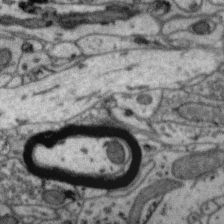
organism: Zebra finch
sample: Brain